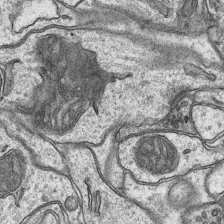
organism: Mouse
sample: CA1 Hippocampus